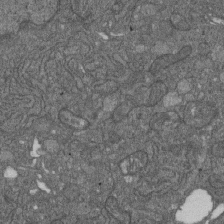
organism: Drosophila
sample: Nephrocyte